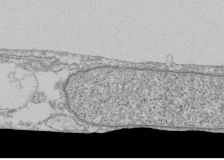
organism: Human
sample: Fibroblast cells